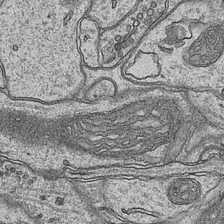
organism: Mouse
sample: CA1 Hippocampus